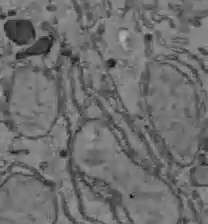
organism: C57BL Mouse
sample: Liver